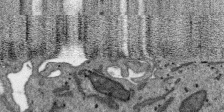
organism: Human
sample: Lung epithelial cells, uninfected (mock) control